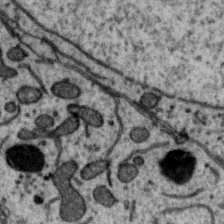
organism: Zebra finch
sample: Brain